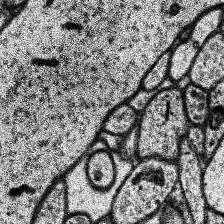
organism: Human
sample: Temporal Lobe